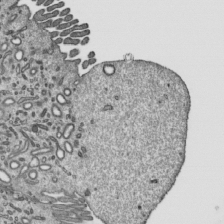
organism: Mouse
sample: Mouse epididymis efferent ductule cilia